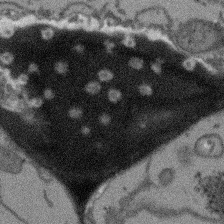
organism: Arabidopsis thaliana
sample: Root tip